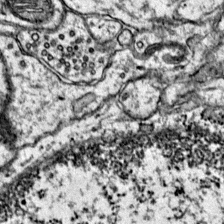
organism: Mouse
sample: Primary visual cortex